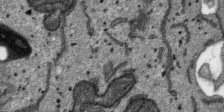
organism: Human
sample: Lung epithelial cells, uninfected (mock) control